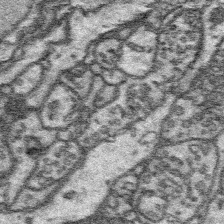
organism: Platynereis dumerilii